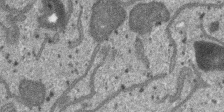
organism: Human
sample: Lung epithelial cells infected with SARS-CoV-2